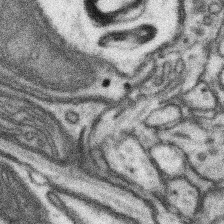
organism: Mouse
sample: Somatosensory cortex neuropil